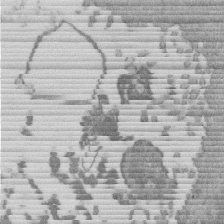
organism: Mouse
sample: Dividing mouse embryo 1 cell stage